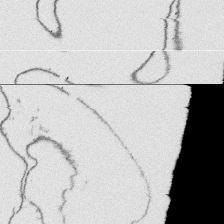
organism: Platynereis dumerilii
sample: Parapodia